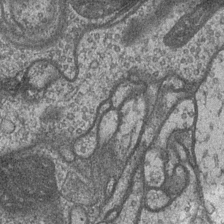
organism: Drosophila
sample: Optic medulla